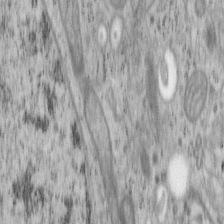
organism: Human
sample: HeLa cells